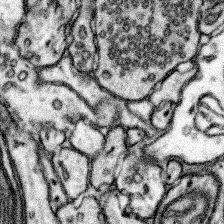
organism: Mouse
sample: Somatosensory cortex neuropil